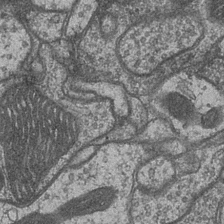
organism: Drosophila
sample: Optic medulla